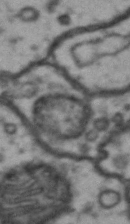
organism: Drosophila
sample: Brain